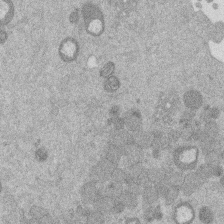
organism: Mouse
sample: Dividing mouse embryo 1 cell stage